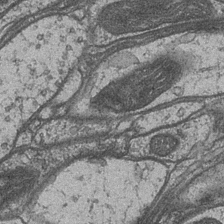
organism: Drosophila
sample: Optic medulla